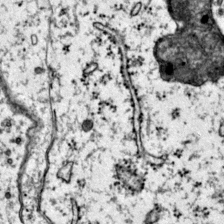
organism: Mouse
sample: Primary visual cortex